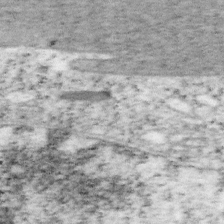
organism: Mouse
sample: OT-I killer T cells with ID8 ovarian cancer cells